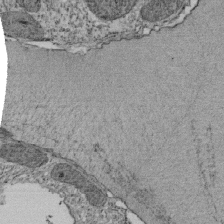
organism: Tetrahymena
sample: Cilia in tetrahymena